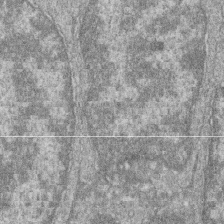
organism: Zebrafish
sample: Cilia; retinal pigment epithelium